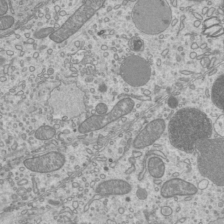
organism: Mouse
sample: Cilia; mouse epididymis